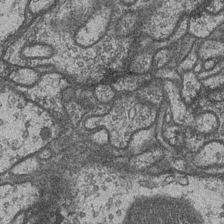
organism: Drosophila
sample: Optic medulla